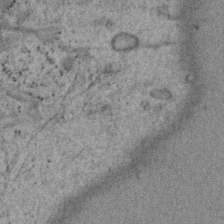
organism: Human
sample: HeLa cells